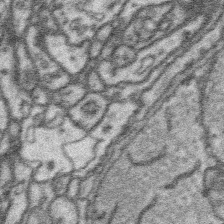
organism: Platynereis dumerilii